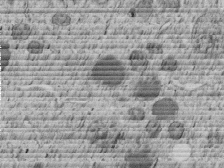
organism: C. elegans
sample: C. elegans embryo early stage